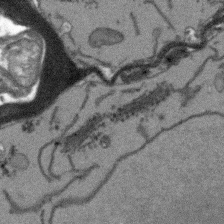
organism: Arabidopsis thaliana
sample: Root tip